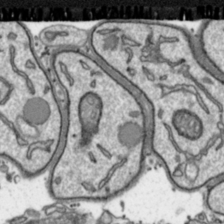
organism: Toxoplasma gondii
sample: Parasites in a vacuole inside a host cell